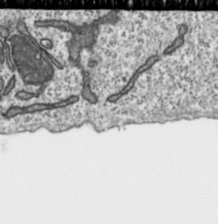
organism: Toxoplasma gondii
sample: Parasites in a vacuole inside a host cell